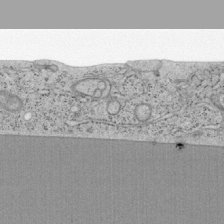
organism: Human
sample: HeLa cells